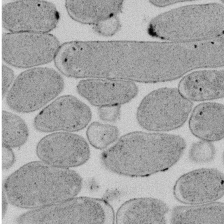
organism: E. coli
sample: Bacterial nucleoid